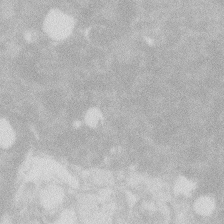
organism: Zebrafish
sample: Macrophage